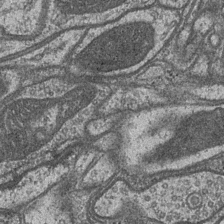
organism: Drosophila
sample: Optic medulla